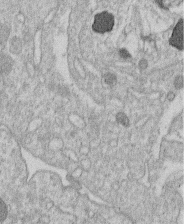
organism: Human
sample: Macrophage cells